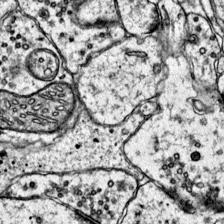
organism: Mouse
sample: Primary visual cortex